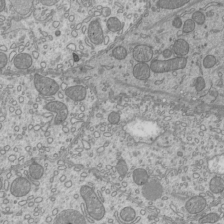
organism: Mouse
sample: Cilia; mouse epididymis